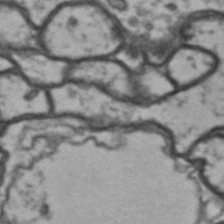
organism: Drosophila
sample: Brain